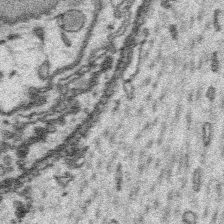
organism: Platynereis dumerilii